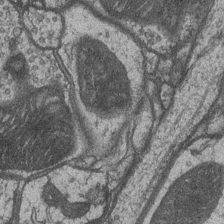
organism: Drosophila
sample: Optic medulla